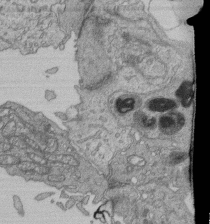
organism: Human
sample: Retinal organoid Rod and Cone cells